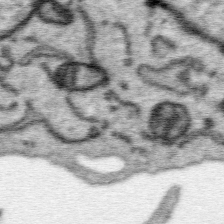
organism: Human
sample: HeLa cells